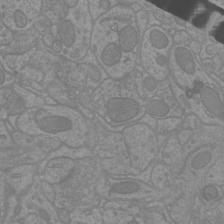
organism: Mouse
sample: Cortical neurons